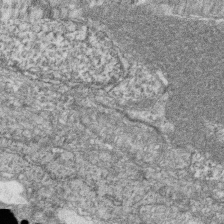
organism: Zebrafish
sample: Cilia; retinal pigment epithelium